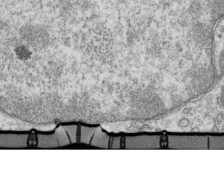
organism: Mouse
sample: Activated OT-1 CD8+ T cells